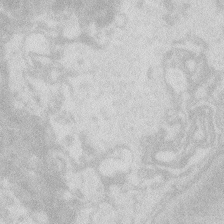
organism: Zebrafish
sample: Macrophage